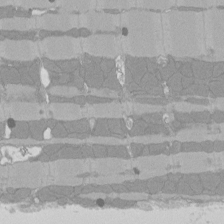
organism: Rat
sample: Left ventricle